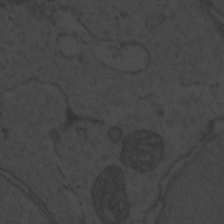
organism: Zebrafish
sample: Macrophage infected with Toxoplasma gondii